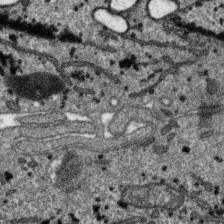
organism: Human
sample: Lung epithelial cells infected with SARS-CoV-2